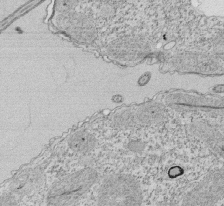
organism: Tetrahymena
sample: Cilia in tetrahymena